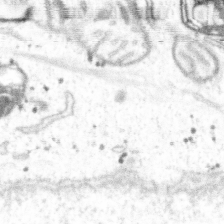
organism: Human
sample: HeLa cells